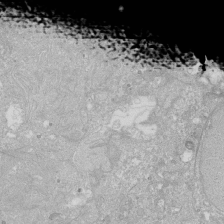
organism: Human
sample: Caco-2 cells